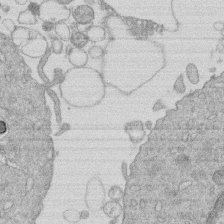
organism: Human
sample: Macrophage cells